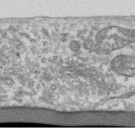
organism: Human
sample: Centriole in RPE cells